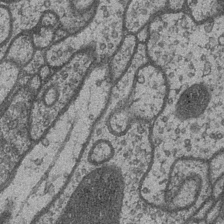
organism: Drosophila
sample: Optic medulla